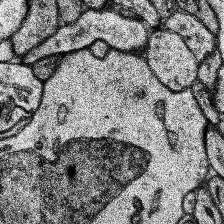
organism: Human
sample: Temporal Lobe